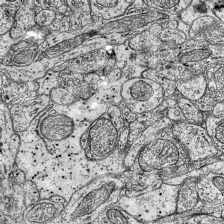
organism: Mouse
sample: Visual Cortex